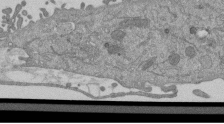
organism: Mouse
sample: ED-1 cell nuclei; centrioles